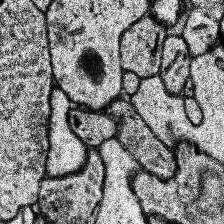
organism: Human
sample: Temporal Lobe